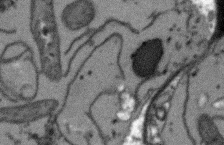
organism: Arabidopsis thaliana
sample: Root tip